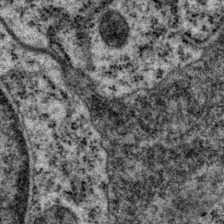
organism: P. pacificus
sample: Pharynx